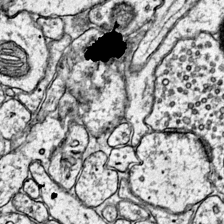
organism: Mouse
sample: Primary visual cortex